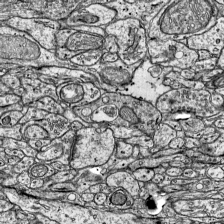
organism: Mouse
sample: Visual Cortex